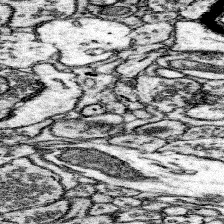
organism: Mouse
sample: Somatosensory cortex neuropil